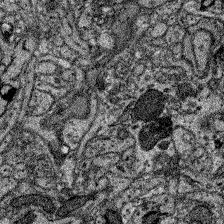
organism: Zebrafish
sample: Larval olfactory bulb